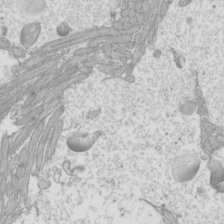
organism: Mouse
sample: Cilia; mouse epididymis